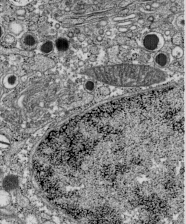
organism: C57BL Mouse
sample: Pancreatic islet